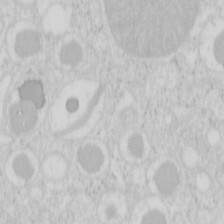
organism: Mouse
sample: Pancreas